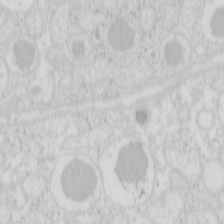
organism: Mouse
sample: Pancreas